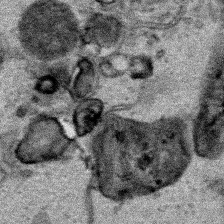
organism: Human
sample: Mitochondria in HCT116 cells